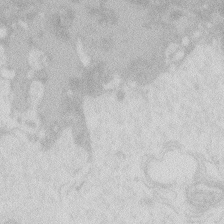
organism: Zebrafish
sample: Macrophage